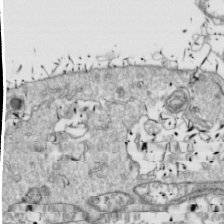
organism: Drosophila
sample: Cell division; meiosis; drosophila spermatocytes